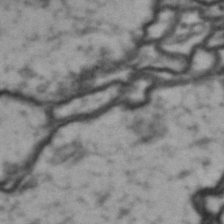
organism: Drosophila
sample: Brain